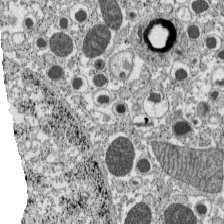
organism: C57BL Mouse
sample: Pancreatic islet